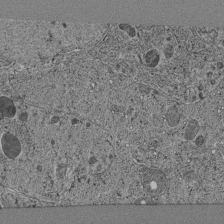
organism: C. elegans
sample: C. elegans pharynx